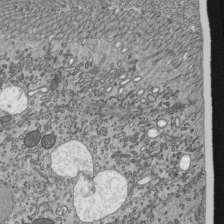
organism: Mouse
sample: Mouse epididymis efferent ductule cilia